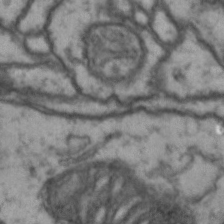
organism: Drosophila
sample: Brain